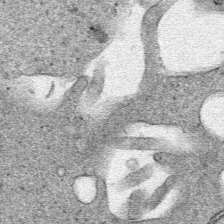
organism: Human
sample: Mitochondria in HCT116 cells